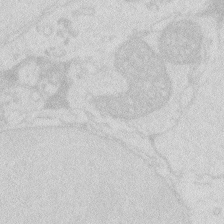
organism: Zebrafish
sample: Macrophage